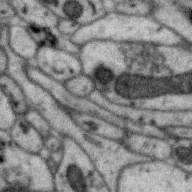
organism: Zebra finch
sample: Brain